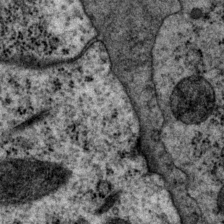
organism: P. pacificus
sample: Pharynx